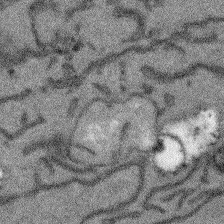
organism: Arabidopsis thaliana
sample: Root tip